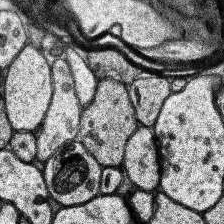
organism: Human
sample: Temporal Lobe